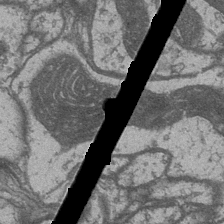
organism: Drosophila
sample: Optic medulla